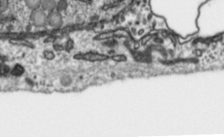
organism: Toxoplasma gondii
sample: Parasites in a vacuole inside a host cell